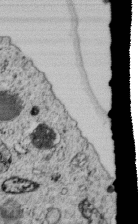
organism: C. elegans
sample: C. elegans embryo early stage